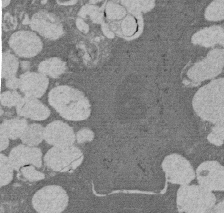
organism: Rat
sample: Salivary granule